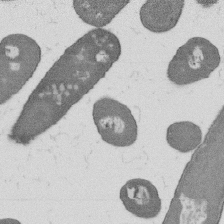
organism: B. subtilis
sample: Bacterial spore